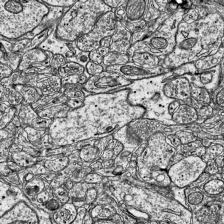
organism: Mouse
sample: Visual Cortex